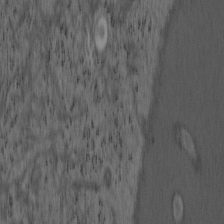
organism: Human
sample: HeLa cells